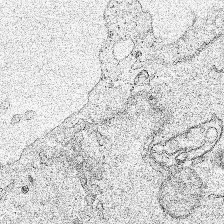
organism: Human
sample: Mitochondria in HCT116 cells